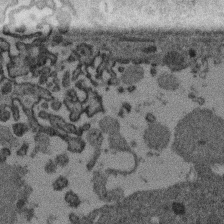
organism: Mouse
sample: Dividing mouse embryo 1 cell stage